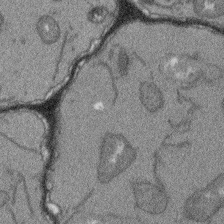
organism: Arabidopsis thaliana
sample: Root tip